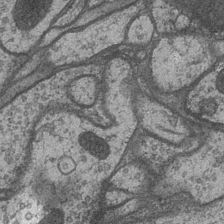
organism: Drosophila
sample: Optic medulla